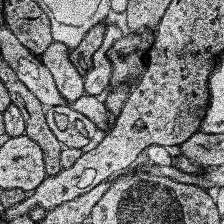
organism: Human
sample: Temporal Lobe